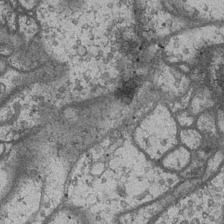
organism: Drosophila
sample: Optic medulla